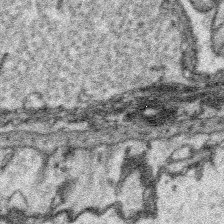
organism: Platynereis dumerilii